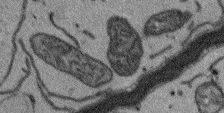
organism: Arabidopsis thaliana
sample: Root tip